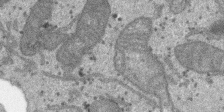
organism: Human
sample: Lung epithelial cells infected with SARS-CoV-2